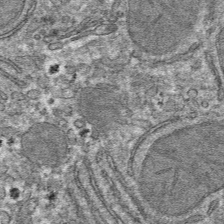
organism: Mouse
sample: Mouse hepatocytes